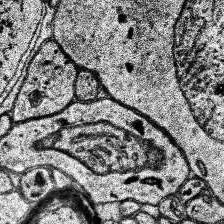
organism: Human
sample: Temporal Lobe